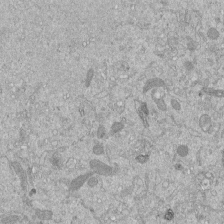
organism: Mouse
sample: ED-1 cell nuclei; centrioles